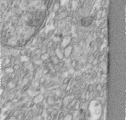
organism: Human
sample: Centriole in RPE cells